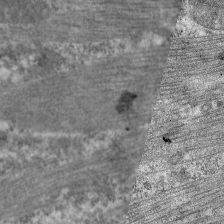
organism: C. elegans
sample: Pharynx